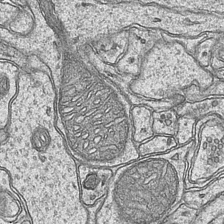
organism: Mouse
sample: CA1 Hippocampus